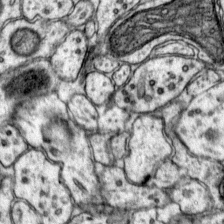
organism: Mouse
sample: Primary visual cortex